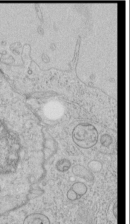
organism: Human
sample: Mitochondria in HCT116 cells